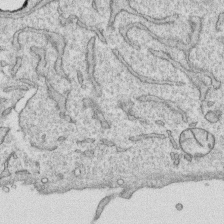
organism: Human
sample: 1205lu cells